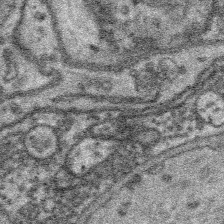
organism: Platynereis dumerilii